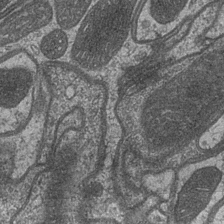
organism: Drosophila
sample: Optic medulla